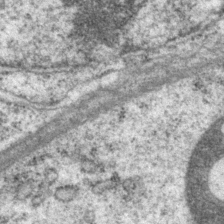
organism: P. pacificus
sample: Pharynx